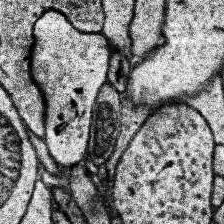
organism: Human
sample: Temporal Lobe